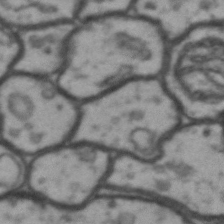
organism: Drosophila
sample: Brain